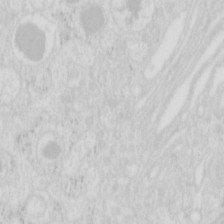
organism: Mouse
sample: Pancreas